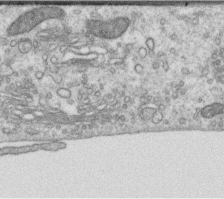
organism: Human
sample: Centriole in RPE cells